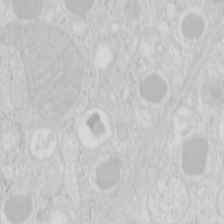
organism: Mouse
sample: Pancreas